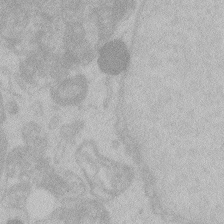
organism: Zebrafish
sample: Macrophage infected with Toxoplasma gondii